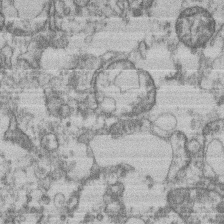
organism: Mouse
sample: T cell stromal cell synapse